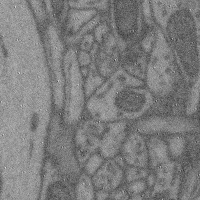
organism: Mouse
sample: Cerebral cortex